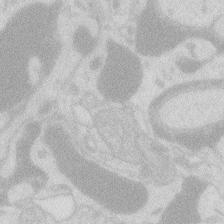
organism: Zebrafish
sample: Macrophage